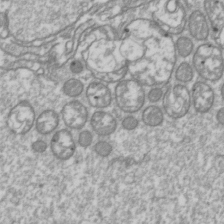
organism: Drosophila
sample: Cell division; meiosis; drosophila spermatocytes